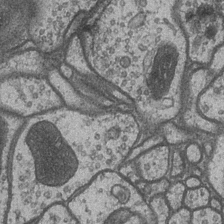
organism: Drosophila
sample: Optic medulla